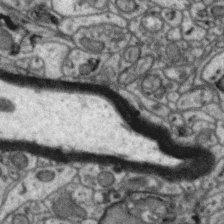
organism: Zebra finch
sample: Brain